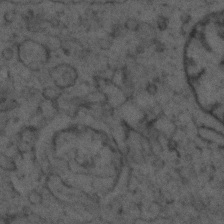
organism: Zebrafish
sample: Zebrafish embryo